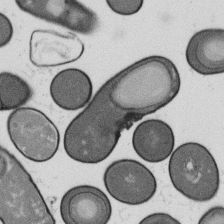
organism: B. subtilis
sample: Bacterial spore